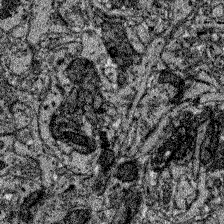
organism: Zebrafish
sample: Larval olfactory bulb